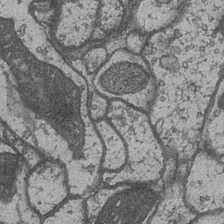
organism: Drosophila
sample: Optic medulla